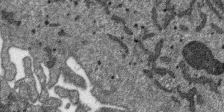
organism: Human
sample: Lung epithelial cells infected with SARS-CoV-2